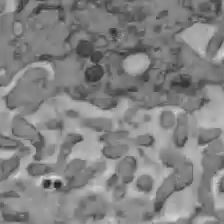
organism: C57BL Mouse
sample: Liver